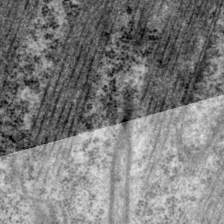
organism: P. pacificus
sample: Pharynx